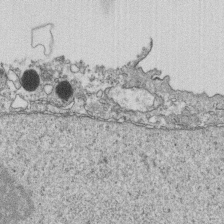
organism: Human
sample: HeLa cell HIV synapse